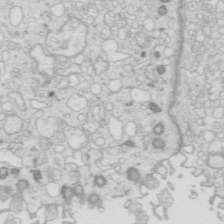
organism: Mouse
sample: Multiciliated cells